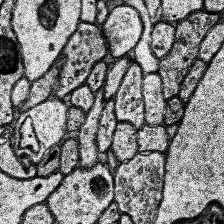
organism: Human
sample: Temporal Lobe